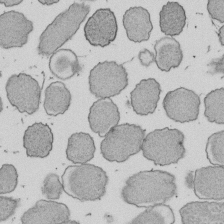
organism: E. coli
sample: Bacterial nucleoid